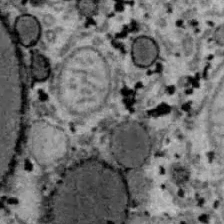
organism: Mouse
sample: Liver from an obese (ob/ob) mouse